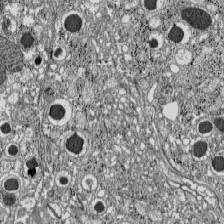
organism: C57BL Mouse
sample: Pancreatic islet